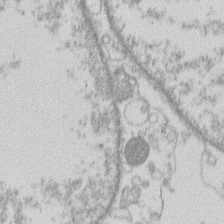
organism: Human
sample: Macrophage cells